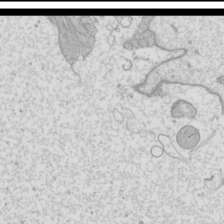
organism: Mouse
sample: Cilia; mouse epididymis